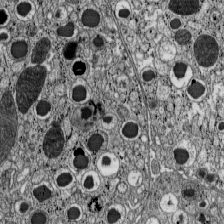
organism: C57BL Mouse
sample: Pancreatic islet